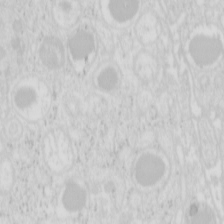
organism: Mouse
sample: Pancreas